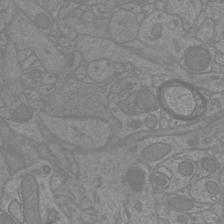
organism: Mouse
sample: Cortical neurons